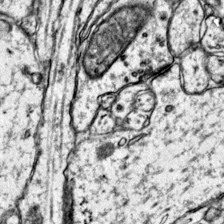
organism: Mouse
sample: Primary visual cortex